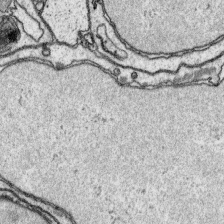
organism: Platynereis dumerilii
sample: Parapodia